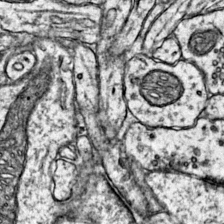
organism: Mouse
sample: Primary visual cortex